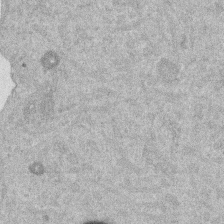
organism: Mouse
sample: Dividing mouse embryo 1 cell stage